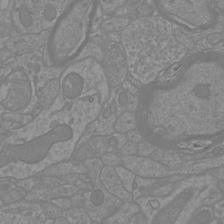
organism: Mouse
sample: Cortical neurons